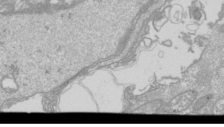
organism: Drosophila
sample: Cell division; meiosis; drosophila spermatocytes